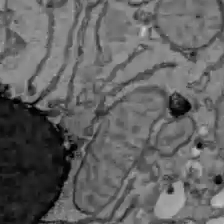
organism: C57BL Mouse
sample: Liver